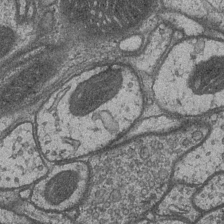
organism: Drosophila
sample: Optic medulla